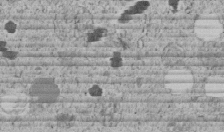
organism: C. elegans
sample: C. elegans embryo early stage